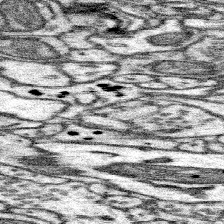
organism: Mouse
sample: Somatosensory cortex neuropil